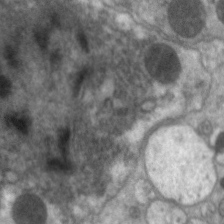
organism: C. elegans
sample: Pharynx